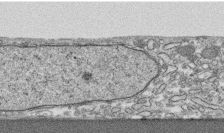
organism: Human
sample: CRL-1474